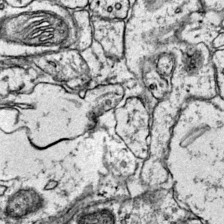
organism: Mouse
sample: Primary visual cortex